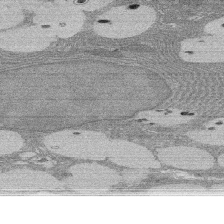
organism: Rat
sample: Salivary granule